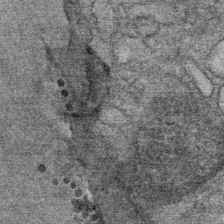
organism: Mouse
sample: Mouse Salivary gland